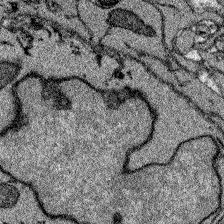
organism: Zebrafish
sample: Larval olfactory bulb